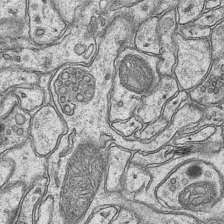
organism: Mouse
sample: CA1 Hippocampus